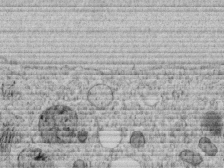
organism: C. elegans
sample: C. elegans embryo early stage